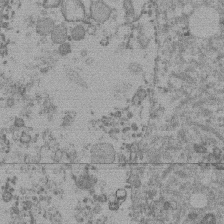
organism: Mouse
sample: Dividing mouse embryo 1 cell stage